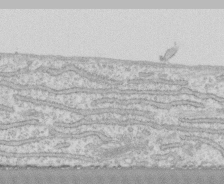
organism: Human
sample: CRL-1474